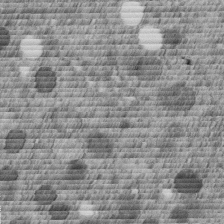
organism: C. elegans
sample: C. elegans embryo early stage